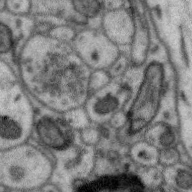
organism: Zebra finch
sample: Brain